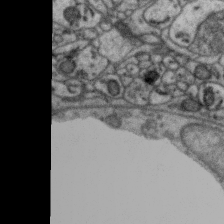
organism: Zebra finch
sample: Brain